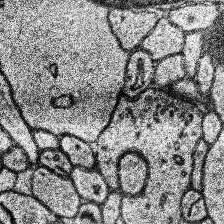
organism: Human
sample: Temporal Lobe